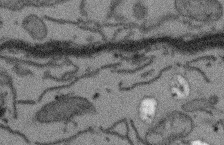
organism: Arabidopsis thaliana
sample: Root tip